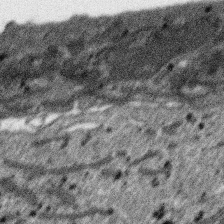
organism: Human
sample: Lung epithelial cells infected with SARS-CoV-2